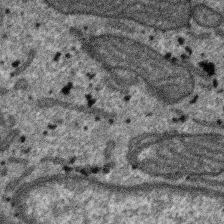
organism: Human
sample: Lung epithelial cells infected with SARS-CoV-2